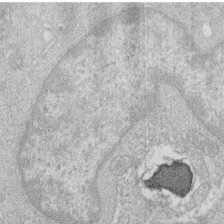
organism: Human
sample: Macrophage cells